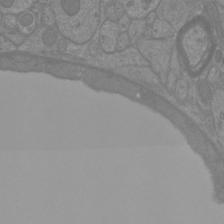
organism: Mouse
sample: Cortical neurons